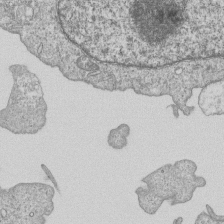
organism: Human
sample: MDA-MB-231 cells